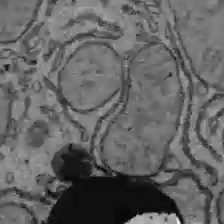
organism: C57BL Mouse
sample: Liver